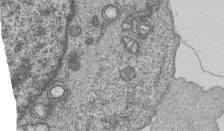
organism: Human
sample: MDA-MB-231 cells